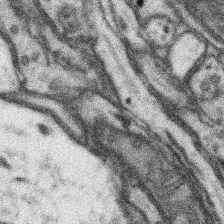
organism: Mouse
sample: Somatosensory cortex neuropil